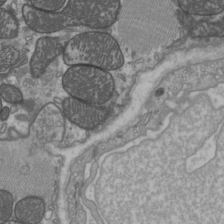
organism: C57BL Mouse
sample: Heart